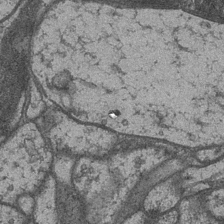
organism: Drosophila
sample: Optic medulla